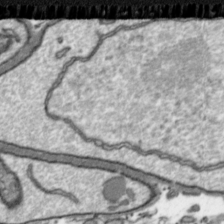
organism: Toxoplasma gondii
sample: Parasites in a vacuole inside a host cell